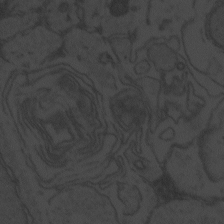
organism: Zebrafish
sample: Macrophage infected with Toxoplasma gondii